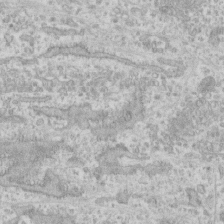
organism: Human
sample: CRL-1474